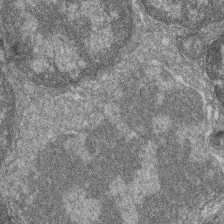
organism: Zebrafish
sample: Cilia; retinal pigment epithelium